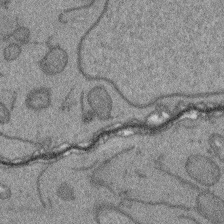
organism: Arabidopsis thaliana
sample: Root tip